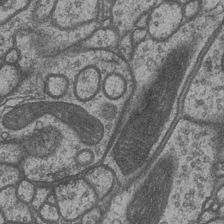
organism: Drosophila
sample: Optic medulla